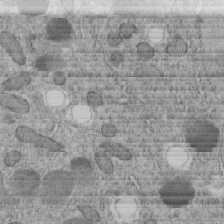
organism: C. elegans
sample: C. elegans embryo early stage